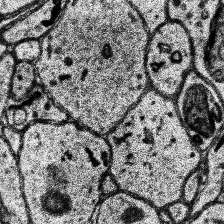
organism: Human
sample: Temporal Lobe